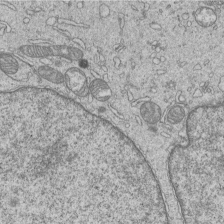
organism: Human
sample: MDA-MB-231 cells